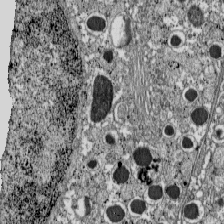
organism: C57BL Mouse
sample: Pancreatic islet